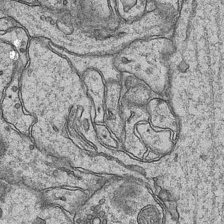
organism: Mouse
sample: CA1 Hippocampus